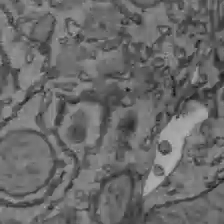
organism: C57BL Mouse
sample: Liver